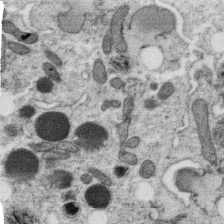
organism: C. elegans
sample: C. elegans oocyte; sperm cells